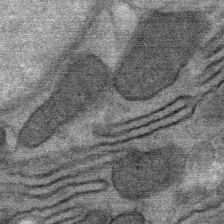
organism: Mouse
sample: Mouse Salivary gland